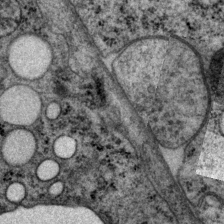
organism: P. pacificus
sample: Pharynx